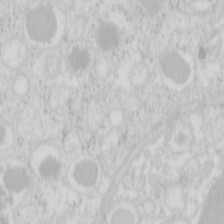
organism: Mouse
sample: Pancreas